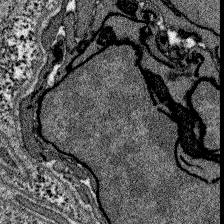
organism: Zebrafish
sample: Larval olfactory bulb